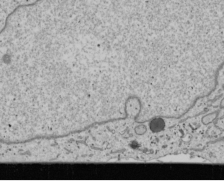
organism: Human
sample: Mitochondria in U2OS cells